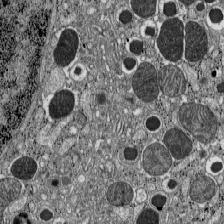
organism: C57BL Mouse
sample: Pancreatic islet